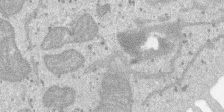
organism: Human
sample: Lung epithelial cells infected with SARS-CoV-2